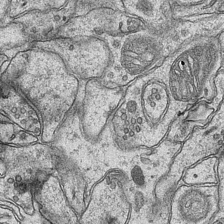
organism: Mouse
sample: CA1 Hippocampus